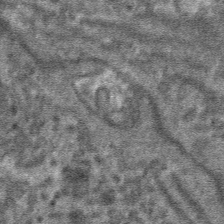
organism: Mouse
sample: Mouse hepatocytes